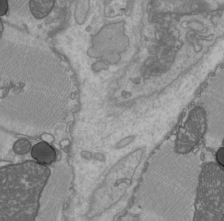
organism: C57BL Mouse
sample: Heart